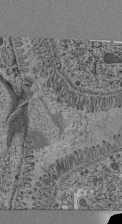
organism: C. elegans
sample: C. elegans pharynx